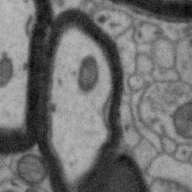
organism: Zebra finch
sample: Brain